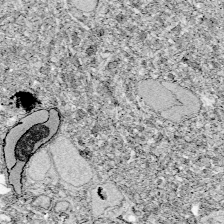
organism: Zebrafish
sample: Whole-Brain